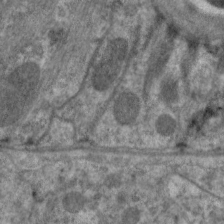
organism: C. elegans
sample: Pharynx